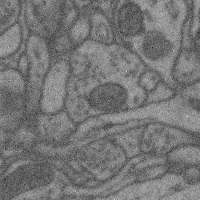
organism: Mouse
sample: Cerebral cortex